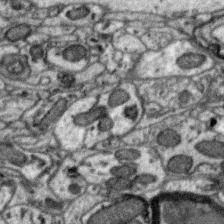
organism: Zebra finch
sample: Brain